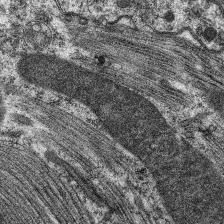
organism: C. elegans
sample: Pharynx